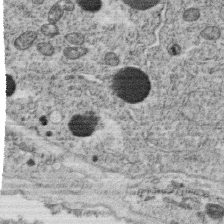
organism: C. elegans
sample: C. elegans oocyte; sperm cells